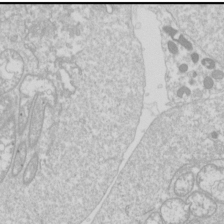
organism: Drosophila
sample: Cell division; meiosis; drosophila spermatocytes